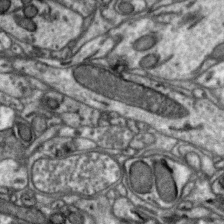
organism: Zebra finch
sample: Brain